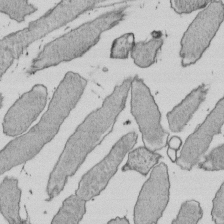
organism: E. coli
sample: Bacterial nucleoid